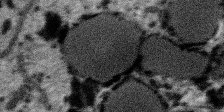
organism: Human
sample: Lung epithelial cells infected with SARS-CoV-2